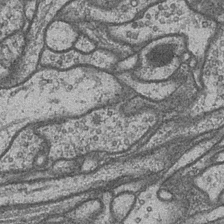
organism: Drosophila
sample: Optic medulla